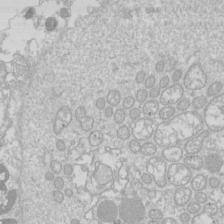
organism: Drosophila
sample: Cell division; meiosis; drosophila spermatocytes